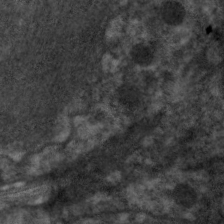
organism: C. elegans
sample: Pharynx